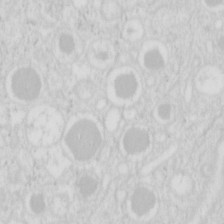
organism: Mouse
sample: Pancreas